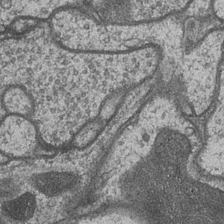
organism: Drosophila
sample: Optic medulla